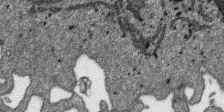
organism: Human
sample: Lung epithelial cells infected with SARS-CoV-2